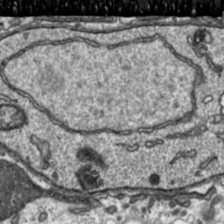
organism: Toxoplasma gondii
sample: Parasites in a vacuole inside a host cell